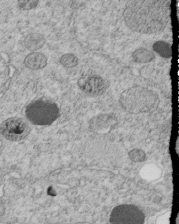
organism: C. elegans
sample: C. elegans embryo early stage